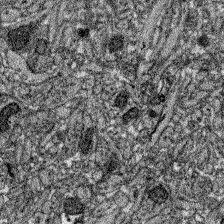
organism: Zebrafish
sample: Larval olfactory bulb